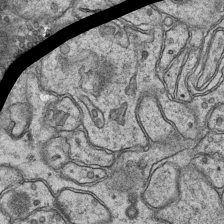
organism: Mouse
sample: CA1 Hippocampus